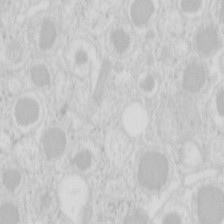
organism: Mouse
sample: Pancreas